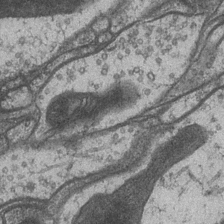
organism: Drosophila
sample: Optic medulla